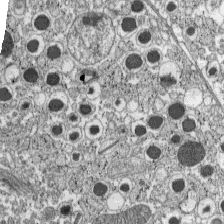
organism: C57BL Mouse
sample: Pancreatic islet